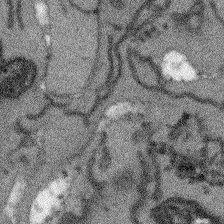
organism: Arabidopsis thaliana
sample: Root tip